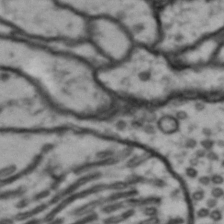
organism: Drosophila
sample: Brain